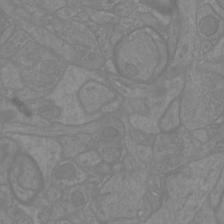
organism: Mouse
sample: Cortical neurons